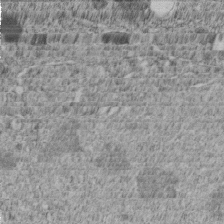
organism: C. elegans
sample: C. elegans embryo early stage